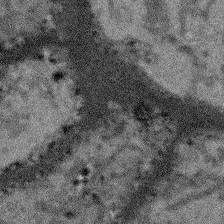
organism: Arabidopsis thaliana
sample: Root tip